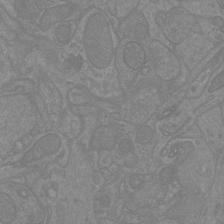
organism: Mouse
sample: Cortical neurons